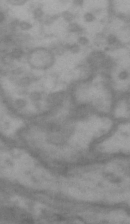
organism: Drosophila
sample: Brain